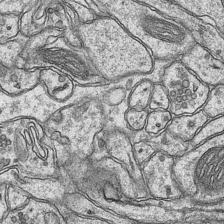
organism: Mouse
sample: CA1 Hippocampus